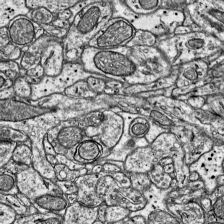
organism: Mouse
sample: Visual Cortex